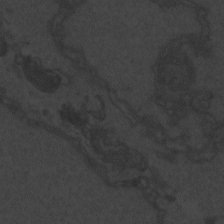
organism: Zebrafish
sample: Macrophage infected with Toxoplasma gondii